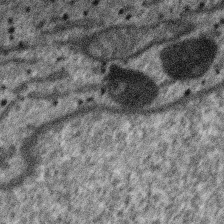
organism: Human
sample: Lung epithelial cells infected with SARS-CoV-2